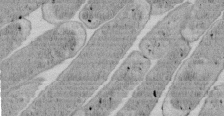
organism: E. coli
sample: Bacterial nucleoid